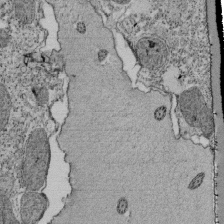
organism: Tetrahymena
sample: Cilia in tetrahymena